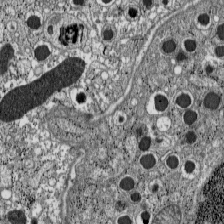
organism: C57BL Mouse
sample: Pancreatic islet